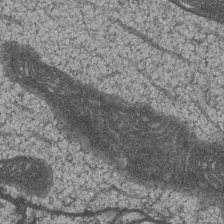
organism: Drosophila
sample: Optic medulla